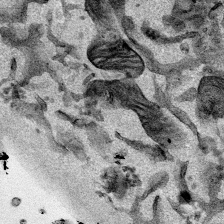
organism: Mouse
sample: Cancer cell death in ED-1 cells